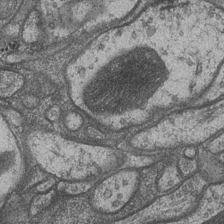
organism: Drosophila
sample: Optic medulla